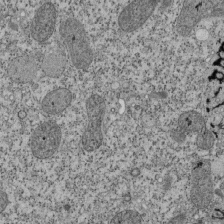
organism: Tetrahymena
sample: Cilia in tetrahymena